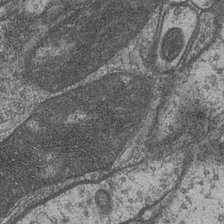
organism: Drosophila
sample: Optic medulla